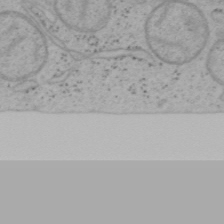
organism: Human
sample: HeLa cells